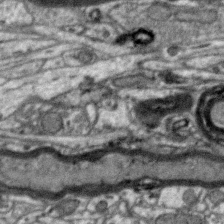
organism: Zebra finch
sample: Brain